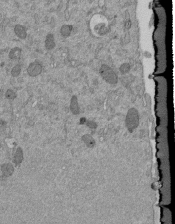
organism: Mouse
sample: ED-1 cell nuclei; centrioles